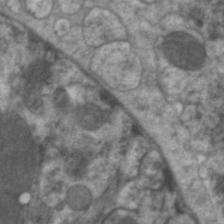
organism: C. elegans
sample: Pharynx